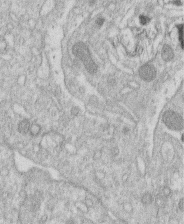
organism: Human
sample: Macrophage cells